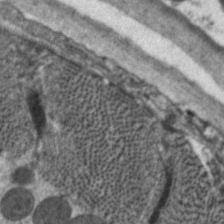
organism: C. elegans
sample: Pharynx